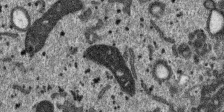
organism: Human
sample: Lung epithelial cells infected with SARS-CoV-2